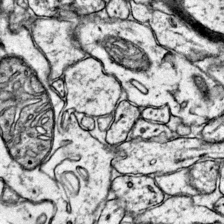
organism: Mouse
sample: Primary visual cortex